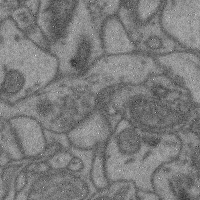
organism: Mouse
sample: Cerebral cortex